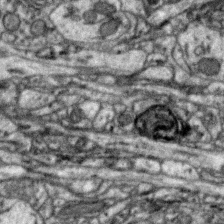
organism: Zebra finch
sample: Brain